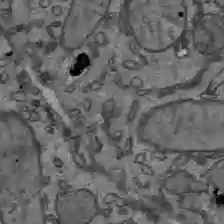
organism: C57BL Mouse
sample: Liver